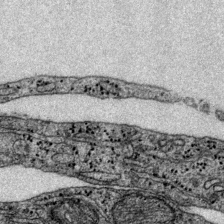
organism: Mouse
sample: Primary visual cortex